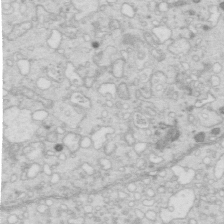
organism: Mouse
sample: Multiciliated cells